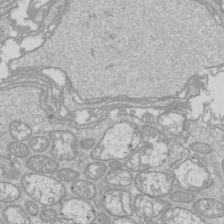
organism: Drosophila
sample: Cell division; meiosis; drosophila spermatocytes